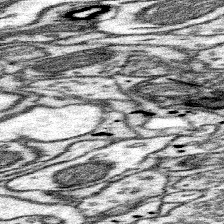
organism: Mouse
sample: Somatosensory cortex neuropil